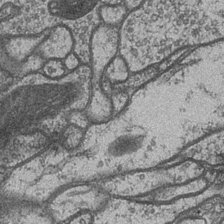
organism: Drosophila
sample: Optic medulla